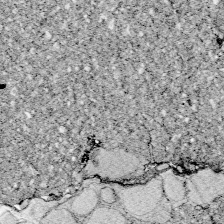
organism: Zebrafish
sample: Whole-Brain